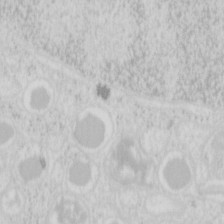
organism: Mouse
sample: Pancreas